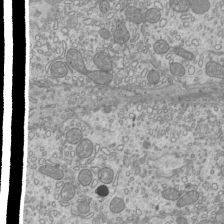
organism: Mouse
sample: Cilia; mouse epididymis